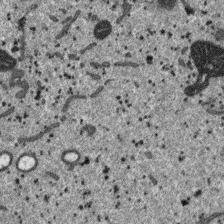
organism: Human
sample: Lung epithelial cells infected with SARS-CoV-2